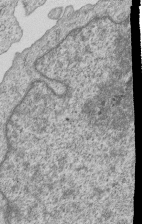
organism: Human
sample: MDA-MB-231 cells